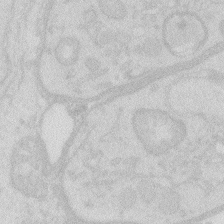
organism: Zebrafish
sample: Macrophage